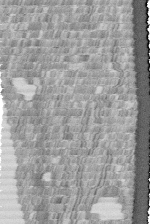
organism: Human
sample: Centriole in fibroblast cells